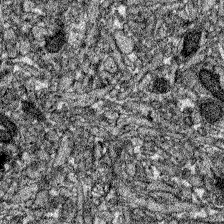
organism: Zebrafish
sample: Larval olfactory bulb